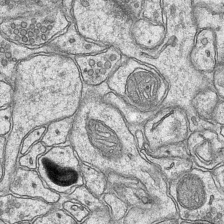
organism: Mouse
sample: CA1 Hippocampus